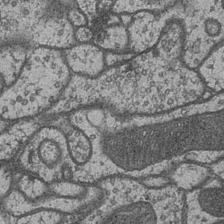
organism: Drosophila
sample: Optic medulla